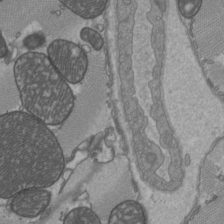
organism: C57BL Mouse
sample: Heart